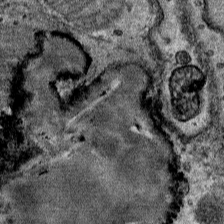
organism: Mouse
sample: Mouse Salivary gland